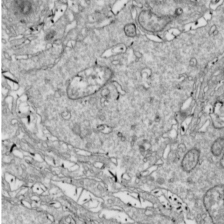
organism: Drosophila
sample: Cell division; meiosis; drosophila spermatocytes